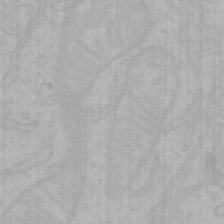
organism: Mouse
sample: Choroid plexus